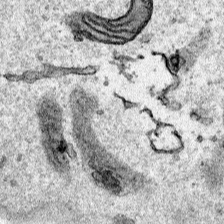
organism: Human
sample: Mitochondria in HCT116 cells